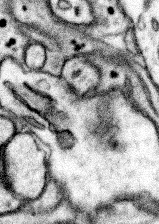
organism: Mouse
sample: Somatosensory cortex neuropil